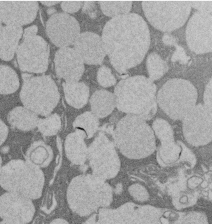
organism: Rat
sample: Salivary granule